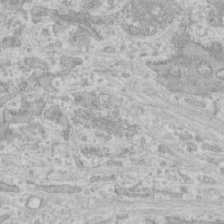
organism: Human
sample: CRL-1474